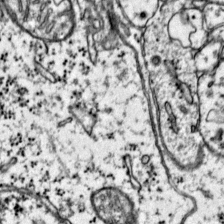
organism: Mouse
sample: Primary visual cortex